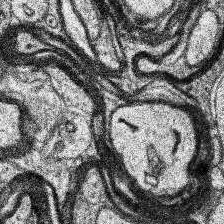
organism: Human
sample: Temporal Lobe